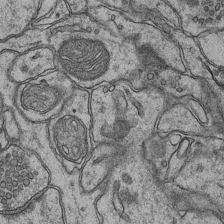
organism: Mouse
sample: CA1 Hippocampus